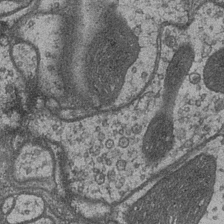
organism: Drosophila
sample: Optic medulla